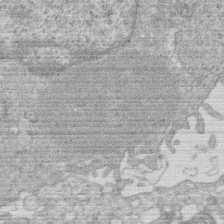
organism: Human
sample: Macrophage cells